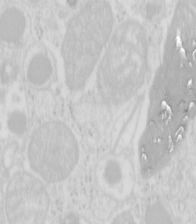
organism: Mouse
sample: Pancreas